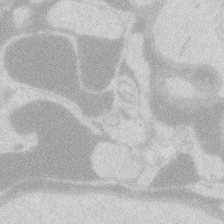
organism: Zebrafish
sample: Macrophage